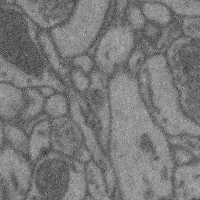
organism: Mouse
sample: Cerebral cortex